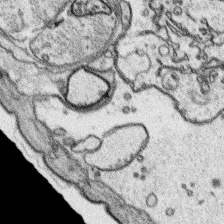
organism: Platynereis dumerilii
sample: Parapodia